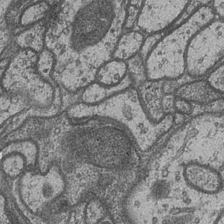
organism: Drosophila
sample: Optic medulla